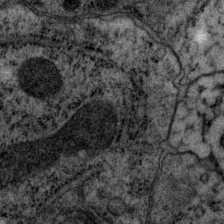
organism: P. pacificus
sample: Pharynx